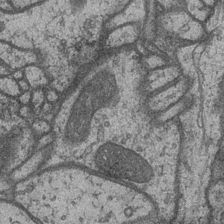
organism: Drosophila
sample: Optic medulla